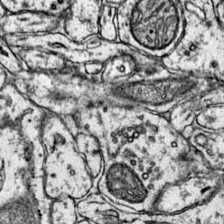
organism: Mouse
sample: Primary visual cortex